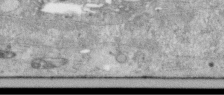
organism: Human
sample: Centriole in RPE cells